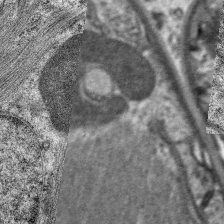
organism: C. elegans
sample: Pharynx